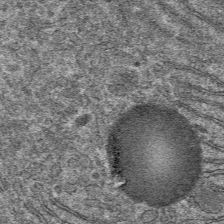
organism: Mouse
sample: Mouse hepatocytes